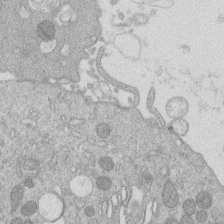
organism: Human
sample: Macrophage cells